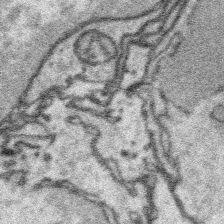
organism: Platynereis dumerilii